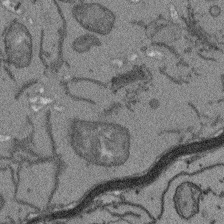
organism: Arabidopsis thaliana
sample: Root tip